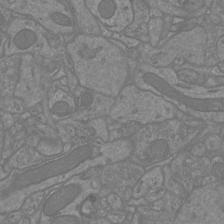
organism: Mouse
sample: Cortical neurons